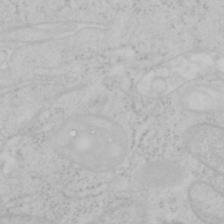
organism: Mouse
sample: OT-I killer T cells with ID8 ovarian cancer cells